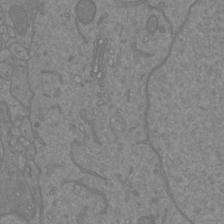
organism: Mouse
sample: Cortical neurons